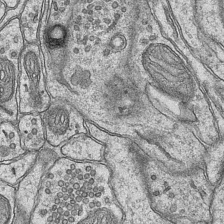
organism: Mouse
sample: CA1 Hippocampus